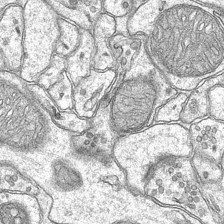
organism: Mouse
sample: CA1 Hippocampus